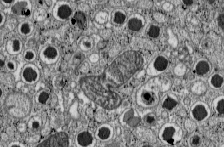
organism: C57BL Mouse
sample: Pancreatic islet